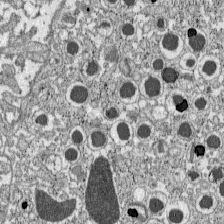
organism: C57BL Mouse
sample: Pancreatic islet